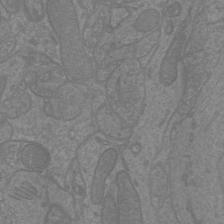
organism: Mouse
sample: Cortical neurons